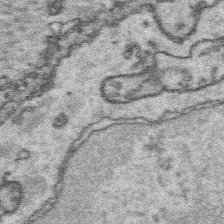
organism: Platynereis dumerilii